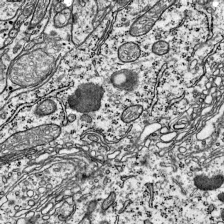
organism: Mouse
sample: Visual Cortex